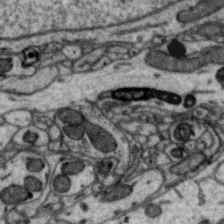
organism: Zebra finch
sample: Brain